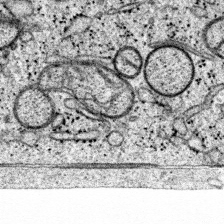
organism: Human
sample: HeLa cells